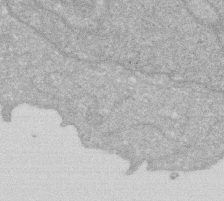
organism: Human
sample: HIV infected U937 cells